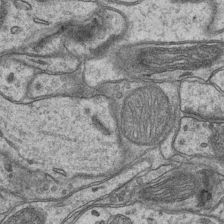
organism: Mouse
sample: CA1 Hippocampus